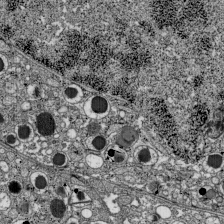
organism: C57BL Mouse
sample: Pancreatic islet